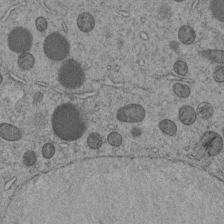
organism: C. elegans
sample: C. elegans embryo early stage